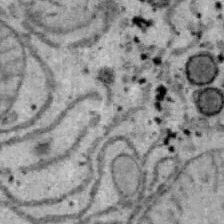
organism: Mouse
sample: Liver from an obese (ob/ob) mouse